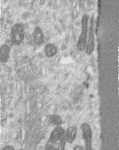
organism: Human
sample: Centriole in RPE cells